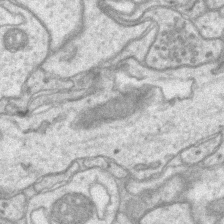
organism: Mouse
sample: CA1 Hippocampus